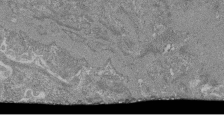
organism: Mouse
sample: Glomerulus